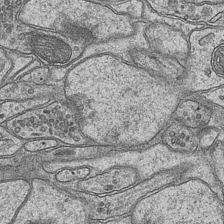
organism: Mouse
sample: CA1 Hippocampus